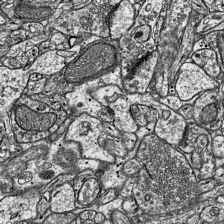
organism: Mouse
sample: Visual Cortex